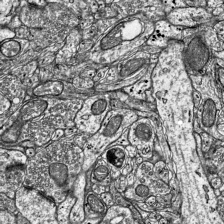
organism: Mouse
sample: Visual Cortex